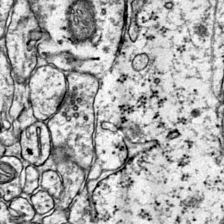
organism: Mouse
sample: Primary visual cortex